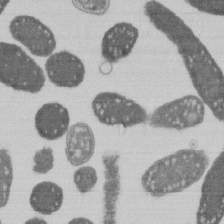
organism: E. coli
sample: Bacterial nucleoid